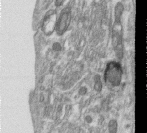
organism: Human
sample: Centriole in RPE cells